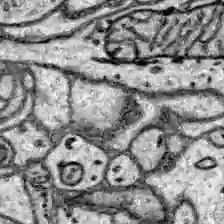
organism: Zebrafish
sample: Brain